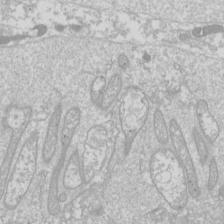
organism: Drosophila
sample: Cell division; meiosis; drosophila spermatocytes